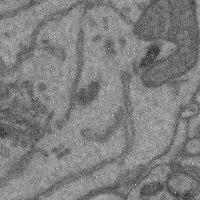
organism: Mouse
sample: Cerebral cortex